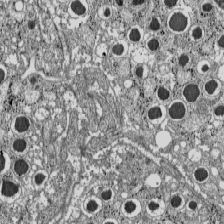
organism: C57BL Mouse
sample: Pancreatic islet